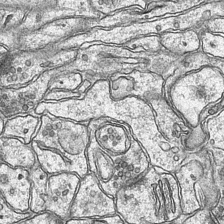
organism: Mouse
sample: CA1 Hippocampus